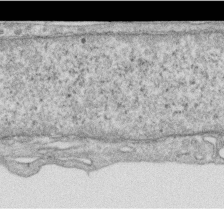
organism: Human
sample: Centriole in RPE cells